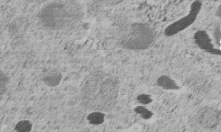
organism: C. elegans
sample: C. elegans embryo early stage